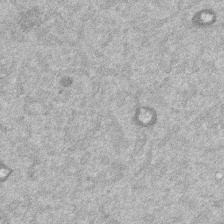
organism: Mouse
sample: Dividing mouse embryo 1 cell stage